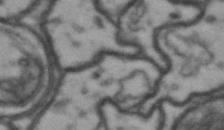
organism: Drosophila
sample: Brain